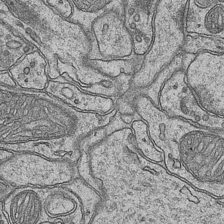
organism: Mouse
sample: CA1 Hippocampus